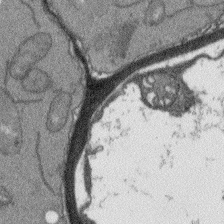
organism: Arabidopsis thaliana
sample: Root tip